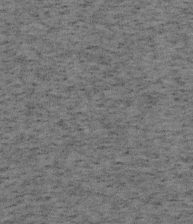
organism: Mouse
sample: OT-I killer T cells with ID8 ovarian cancer cells